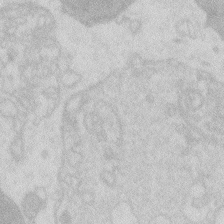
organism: Zebrafish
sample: Macrophage